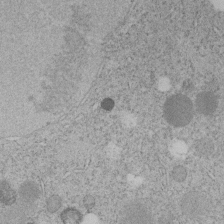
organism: C. elegans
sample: C. elegans embryo early stage